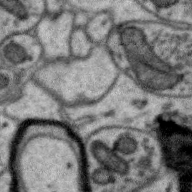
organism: Zebra finch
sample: Brain